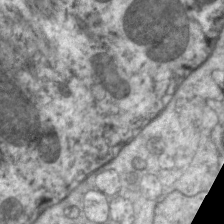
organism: C. elegans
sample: Pharynx